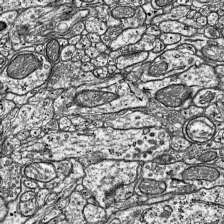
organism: Mouse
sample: Visual Cortex